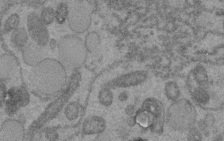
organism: C. elegans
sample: C. elegans embryo early stage